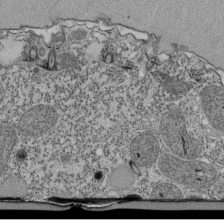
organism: Tetrahymena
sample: Cilia in tetrahymena